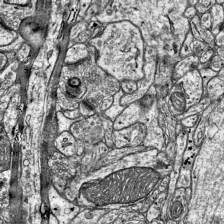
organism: Mouse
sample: Visual Cortex